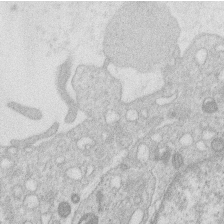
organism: Human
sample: Macrophage cells